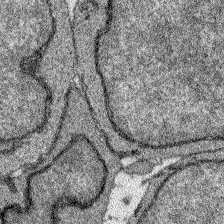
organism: Zebrafish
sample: Larval olfactory bulb